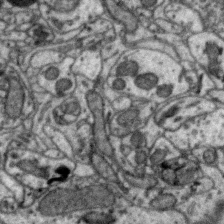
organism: Zebra finch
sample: Brain